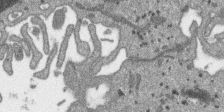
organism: Human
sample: Lung epithelial cells infected with SARS-CoV-2